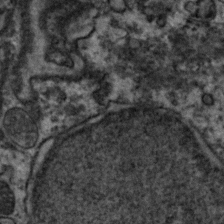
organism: Zebrafish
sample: Zebrafish embryo